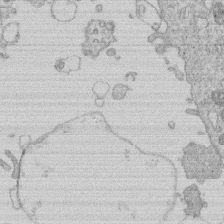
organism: Human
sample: Macrophage cells